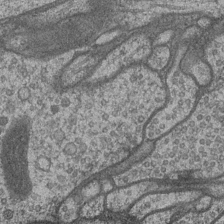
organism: Drosophila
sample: Optic medulla